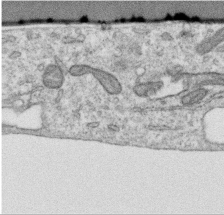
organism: Human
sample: Centriole in RPE cells